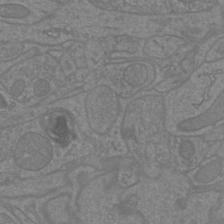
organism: Mouse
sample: Cortical neurons